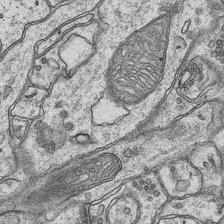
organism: Mouse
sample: CA1 Hippocampus